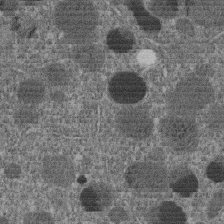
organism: C. elegans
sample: C. elegans embryo early stage